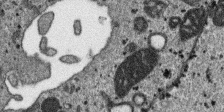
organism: Human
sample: Lung epithelial cells infected with SARS-CoV-2